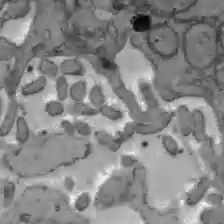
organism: C57BL Mouse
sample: Liver